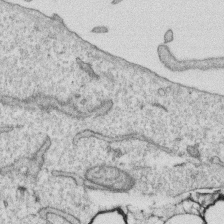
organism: Human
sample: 1205lu cells